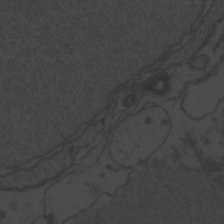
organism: Zebrafish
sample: Macrophage infected with Toxoplasma gondii